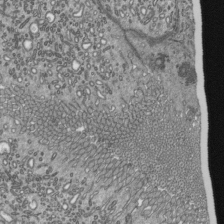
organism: Mouse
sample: Mouse epididymis efferent ductule cilia